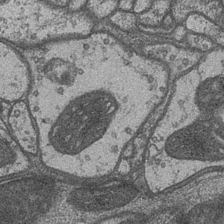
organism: Drosophila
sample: Optic medulla